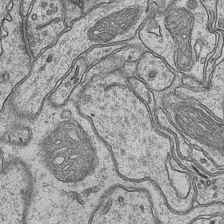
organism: Mouse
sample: CA1 Hippocampus